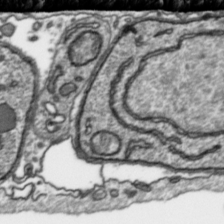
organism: Toxoplasma gondii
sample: Parasites in a vacuole inside a host cell